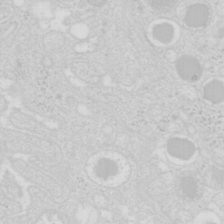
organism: Mouse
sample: Pancreas